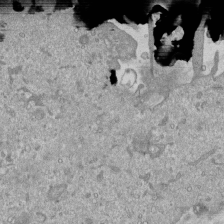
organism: Mouse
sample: ED-1 cell nuclei; centrioles